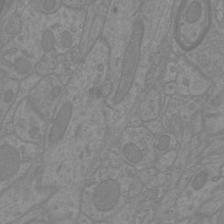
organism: Mouse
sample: Cortical neurons